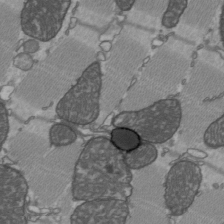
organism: C57BL Mouse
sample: Heart